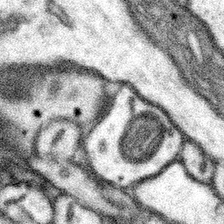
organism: Mouse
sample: Somatosensory cortex neuropil